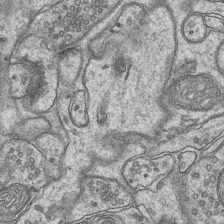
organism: Mouse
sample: CA1 Hippocampus